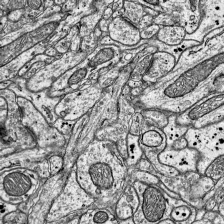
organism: Mouse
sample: Visual Cortex